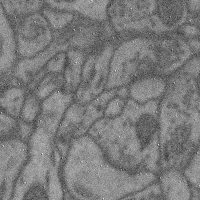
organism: Mouse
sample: Cerebral cortex